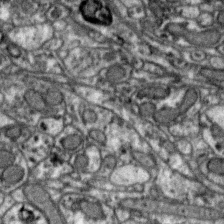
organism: Zebra finch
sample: Brain